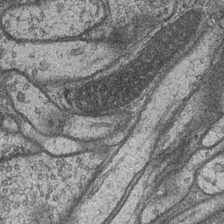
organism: Drosophila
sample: Optic medulla